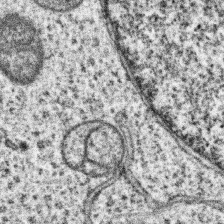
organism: Human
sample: HeLa cells